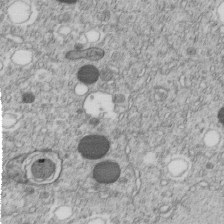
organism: C. elegans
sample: C. elegans embryo early stage